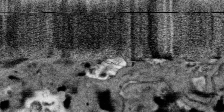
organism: Human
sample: Lung epithelial cells, uninfected (mock) control